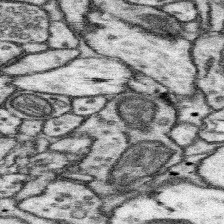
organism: Mouse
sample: Somatosensory cortex neuropil